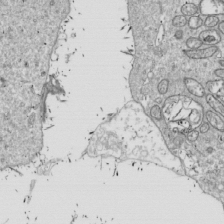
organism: Drosophila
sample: Cell division; meiosis; drosophila spermatocytes